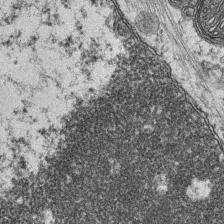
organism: Mouse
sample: CA1 Hippocampus